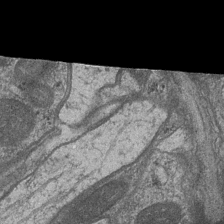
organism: Drosophila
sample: Optic medulla